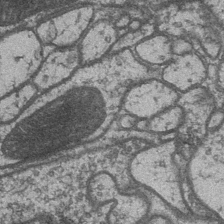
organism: Drosophila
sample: Optic medulla